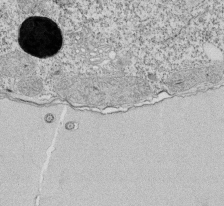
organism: Tetrahymena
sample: Cilia in tetrahymena